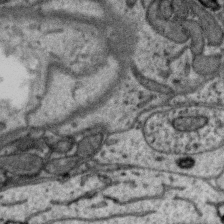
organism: Zebra finch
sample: Brain